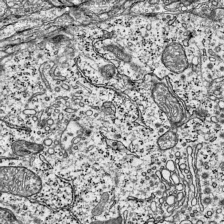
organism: Mouse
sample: Visual Cortex